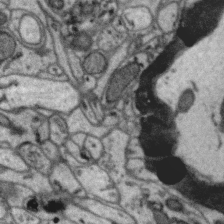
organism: Zebra finch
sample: Brain